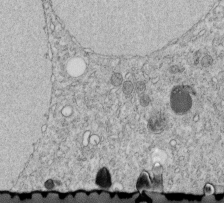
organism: C. elegans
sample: C. elegans embryo early stage